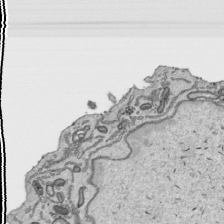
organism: Human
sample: Mitochondria in HCT116 cells